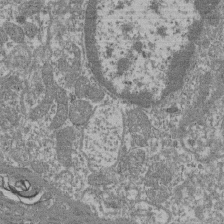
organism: Mouse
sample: Glomerulus